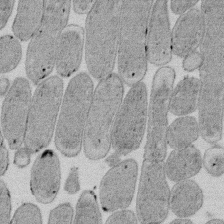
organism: E. coli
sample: Bacterial nucleoid